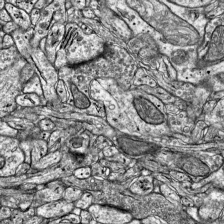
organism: Mouse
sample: Visual Cortex